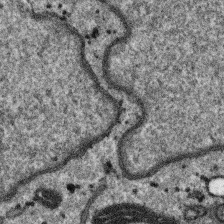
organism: Human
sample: Lung epithelial cells infected with SARS-CoV-2